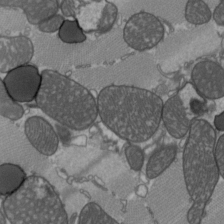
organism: C57BL Mouse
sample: Heart